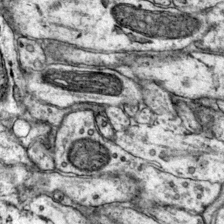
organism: Mouse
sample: Primary visual cortex